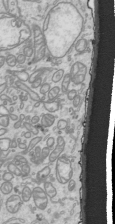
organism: Human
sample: Mitochondria in HCT116 cells